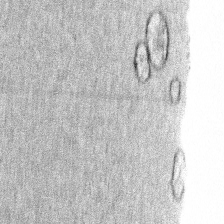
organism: Human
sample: HeLa cells